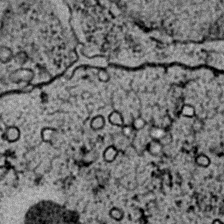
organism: C. elegans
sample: C. elegans embryo